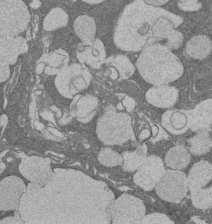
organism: Rat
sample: Salivary granule